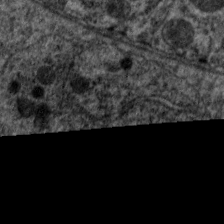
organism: C. elegans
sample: Pharynx